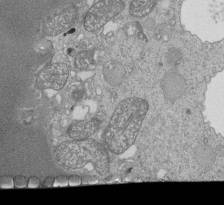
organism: Tetrahymena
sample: Cilia in tetrahymena